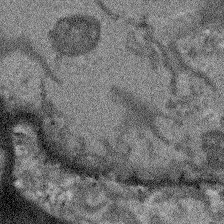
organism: Arabidopsis thaliana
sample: Root tip